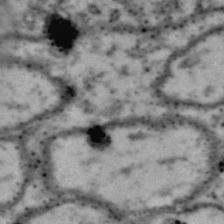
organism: Drosophila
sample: Brain